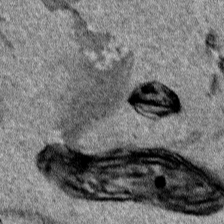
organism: Human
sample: Mitochondria in HCT116 cells